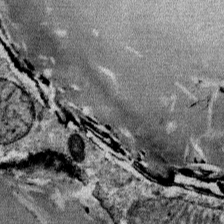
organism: Mouse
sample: Mouse Salivary gland